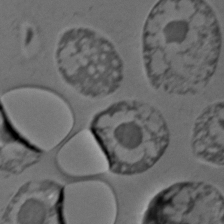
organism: C. elegans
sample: C. elegans embryo